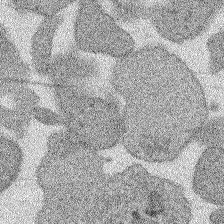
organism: Human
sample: HeLa cells